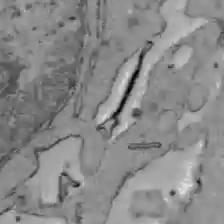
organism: C57BL Mouse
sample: Liver